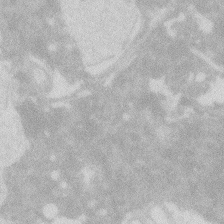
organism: Zebrafish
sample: Macrophage